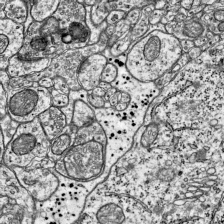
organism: Mouse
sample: Visual Cortex